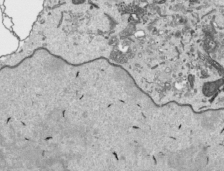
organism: Human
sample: Mitochondria in HCT116 cells